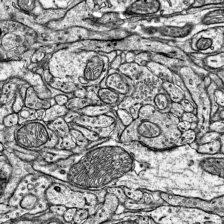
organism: Mouse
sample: Visual Cortex